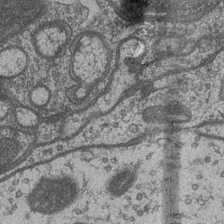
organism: Drosophila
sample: Optic medulla